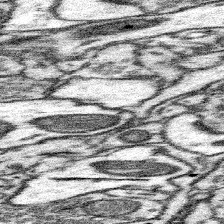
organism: Mouse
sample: Somatosensory cortex neuropil